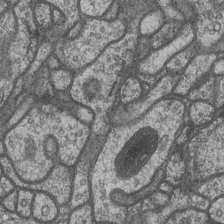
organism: Drosophila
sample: Optic medulla